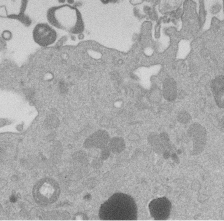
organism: Mouse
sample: Dividing mouse embryo 1 cell stage